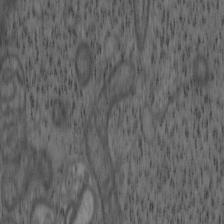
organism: Human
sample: HeLa cells